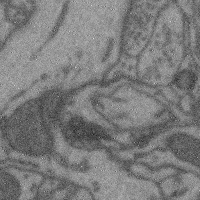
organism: Mouse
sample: Cerebral cortex